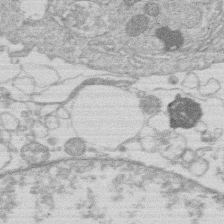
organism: Human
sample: Macrophage cells